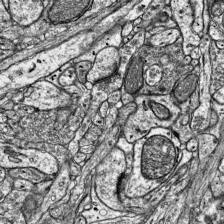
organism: Mouse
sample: Visual Cortex